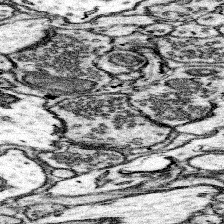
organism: Mouse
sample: Somatosensory cortex neuropil